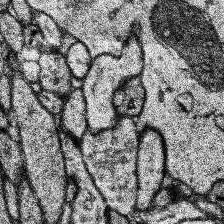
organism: Human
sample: Temporal Lobe